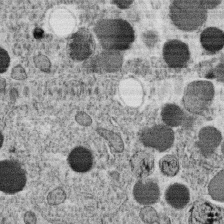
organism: C. elegans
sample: C. elegans oocyte; sperm cells